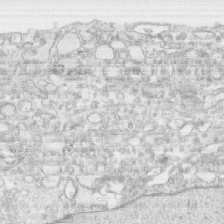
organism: Human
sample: CRL-1474